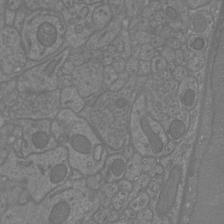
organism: Mouse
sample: Cortical neurons